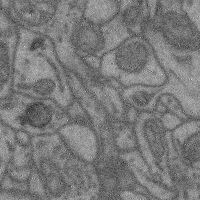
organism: Mouse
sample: Cerebral cortex